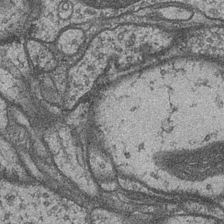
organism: Drosophila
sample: Optic medulla